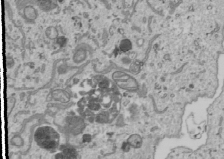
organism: Human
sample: Mitochondria in U2OS cells